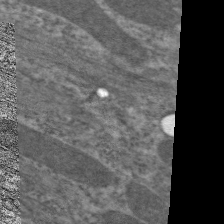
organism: C. elegans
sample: Pharynx